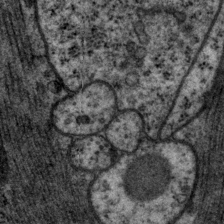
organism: P. pacificus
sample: Pharynx